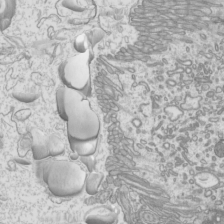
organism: Mouse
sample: Cilia; mouse epididymis